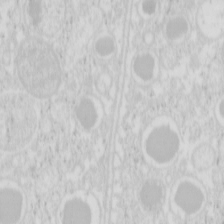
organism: Mouse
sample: Pancreas